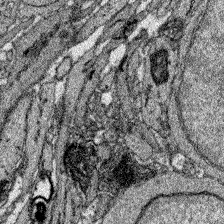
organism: Zebrafish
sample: Larval olfactory bulb